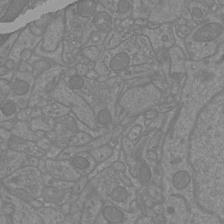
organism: Mouse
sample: Cortical neurons